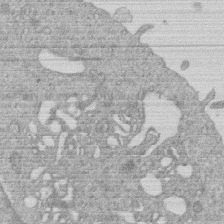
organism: Human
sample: Macrophage cells